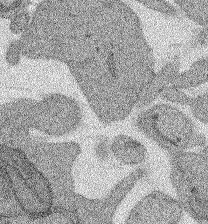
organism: Human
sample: HeLa cells